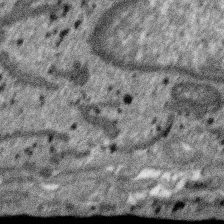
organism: Human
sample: Lung epithelial cells infected with SARS-CoV-2